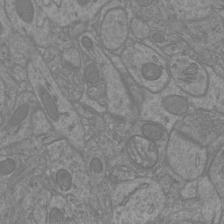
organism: Mouse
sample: Cortical neurons